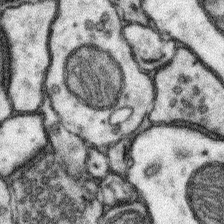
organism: Mouse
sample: Somatosensory cortex neuropil